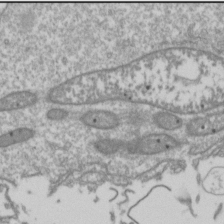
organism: Drosophila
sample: Cell division; meiosis; drosophila spermatocytes